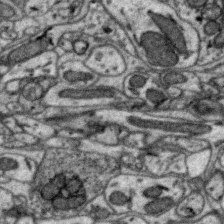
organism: Zebra finch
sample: Brain